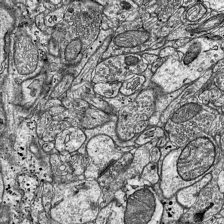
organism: Mouse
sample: Visual Cortex